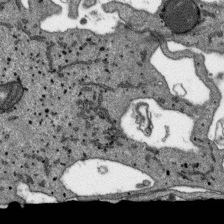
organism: Human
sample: Lung epithelial cells, uninfected (mock) control